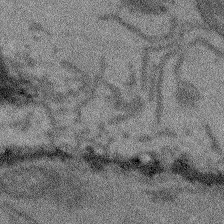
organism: Arabidopsis thaliana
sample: Root tip